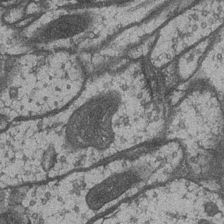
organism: Drosophila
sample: Optic medulla